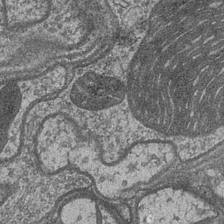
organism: Drosophila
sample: Optic medulla